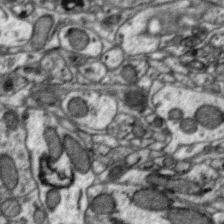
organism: Zebra finch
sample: Brain